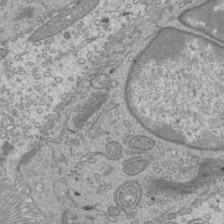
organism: Mouse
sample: Cilia; mouse epididymis